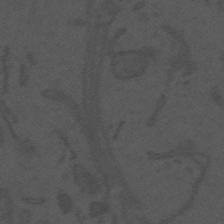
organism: Mouse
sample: Suprachiasmatic nucleus